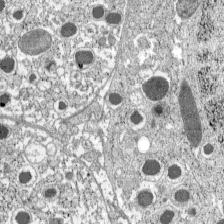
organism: C57BL Mouse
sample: Pancreatic islet